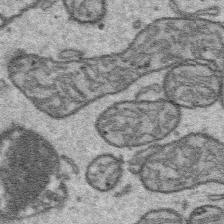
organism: Platynereis dumerilii